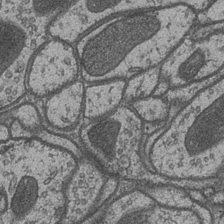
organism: Drosophila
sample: Optic medulla